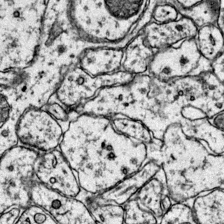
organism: Mouse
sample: Primary visual cortex